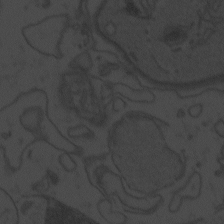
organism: Zebrafish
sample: Macrophage infected with Toxoplasma gondii